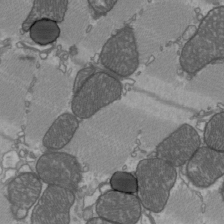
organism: C57BL Mouse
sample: Heart